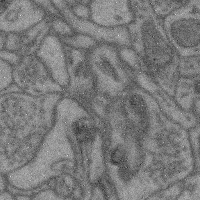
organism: Mouse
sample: Cerebral cortex